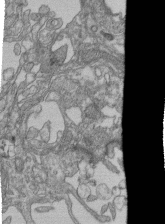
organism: Human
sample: Retinal organoid Rod and Cone cells